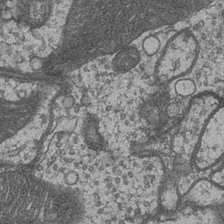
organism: Drosophila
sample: Optic medulla